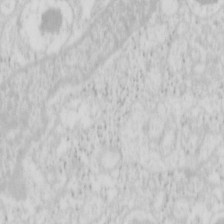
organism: Mouse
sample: Pancreas